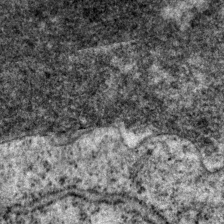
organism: P. pacificus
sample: Pharynx